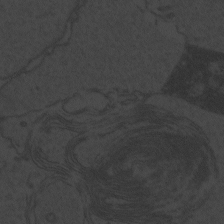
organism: Zebrafish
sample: Macrophage infected with Toxoplasma gondii